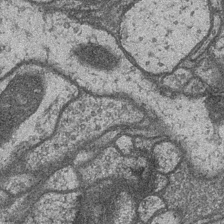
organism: Drosophila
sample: Optic medulla